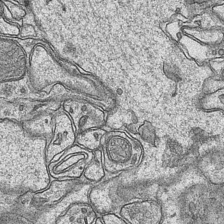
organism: Mouse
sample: CA1 Hippocampus